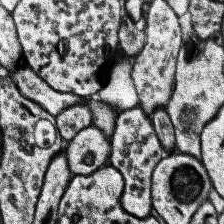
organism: Human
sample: Temporal Lobe